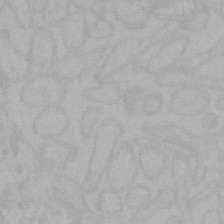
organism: Mouse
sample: Choroid plexus